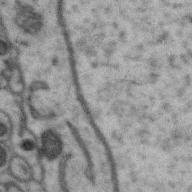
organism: Zebra finch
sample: Brain